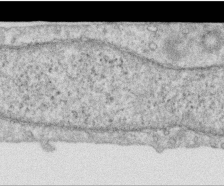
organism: Human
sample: Centriole in RPE cells